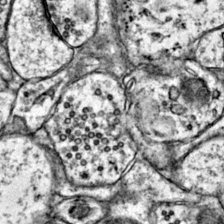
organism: Mouse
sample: Primary visual cortex